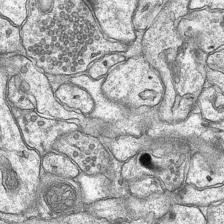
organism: Mouse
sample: CA1 Hippocampus